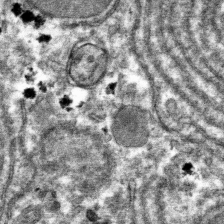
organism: Mouse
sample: Mouse hepatocytes